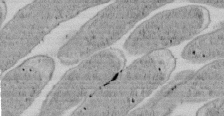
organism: E. coli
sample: Bacterial nucleoid